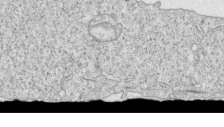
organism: Human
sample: HeLa cell HIV synapse